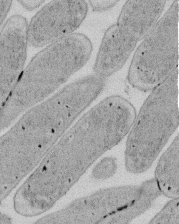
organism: E. coli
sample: Bacterial nucleoid